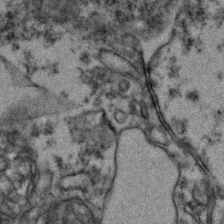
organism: Zebrafish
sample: Zebrafish embryo